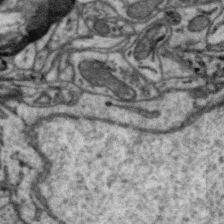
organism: Zebra finch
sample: Brain